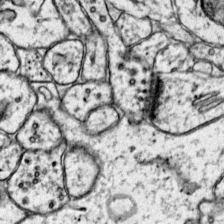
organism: Mouse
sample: Primary visual cortex